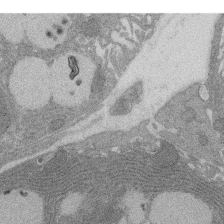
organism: Rat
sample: Salivary granule